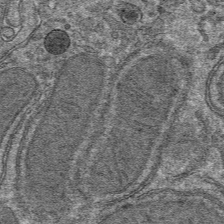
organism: Mouse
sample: Mouse hepatocytes